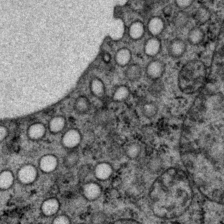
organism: P. pacificus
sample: Pharynx